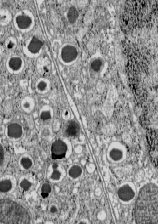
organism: C57BL Mouse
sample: Pancreatic islet